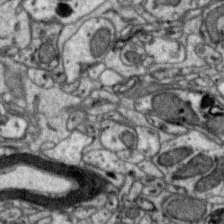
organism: Zebra finch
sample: Brain